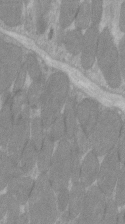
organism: C57BL Mouse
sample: Tibialis anterior muscle cell